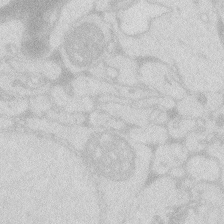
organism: Zebrafish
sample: Macrophage